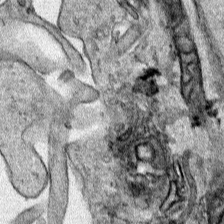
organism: Human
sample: Mitochondria in HCT116 cells